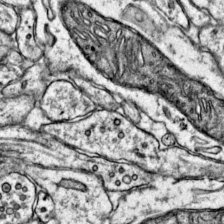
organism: Mouse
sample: Primary visual cortex